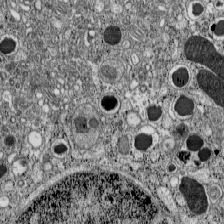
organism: C57BL Mouse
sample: Pancreatic islet